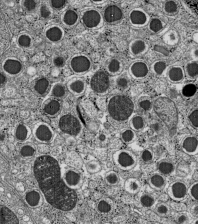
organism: C57BL Mouse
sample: Pancreatic islet